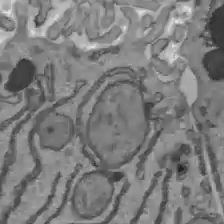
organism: C57BL Mouse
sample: Liver